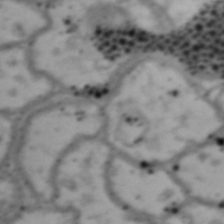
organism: Drosophila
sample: Brain